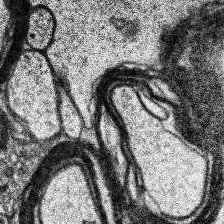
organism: Human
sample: Temporal Lobe